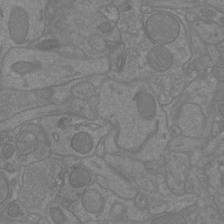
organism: Mouse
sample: Cortical neurons